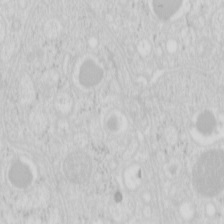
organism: Mouse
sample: Pancreas